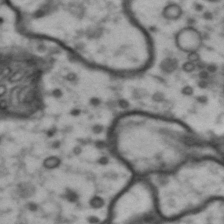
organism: Drosophila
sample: Brain